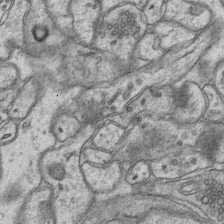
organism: Mouse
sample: CA1 Hippocampus